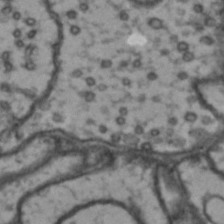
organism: Drosophila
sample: Brain